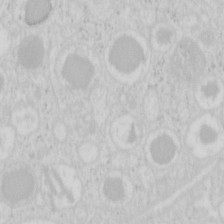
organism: Mouse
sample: Pancreas